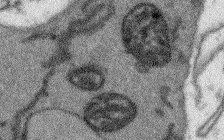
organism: Arabidopsis thaliana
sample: Root tip